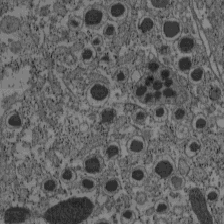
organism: C57BL Mouse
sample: Pancreatic islet